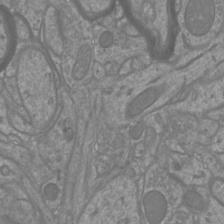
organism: Mouse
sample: Cortical neurons